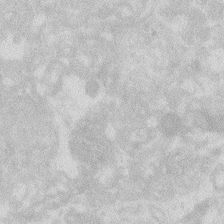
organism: Zebrafish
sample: Macrophage